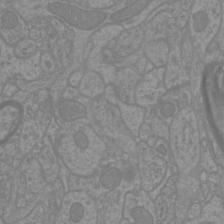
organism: Mouse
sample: Cortical neurons